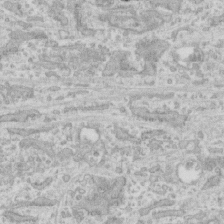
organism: Human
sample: CRL-1474